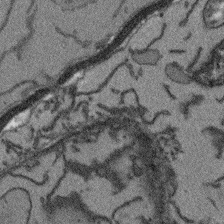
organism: Arabidopsis thaliana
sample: Root tip